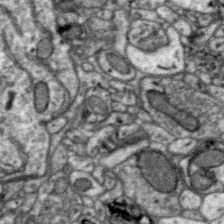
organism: Zebra finch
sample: Brain